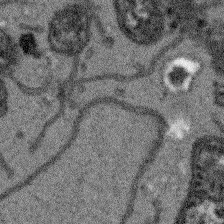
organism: Arabidopsis thaliana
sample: Root tip